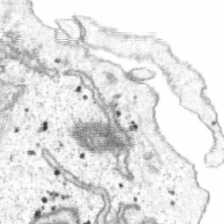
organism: Human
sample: HeLa cells